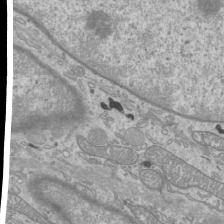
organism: Mouse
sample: Cilia; mouse epididymis